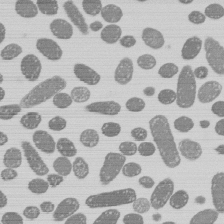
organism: E. coli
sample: Bacterial nucleoid